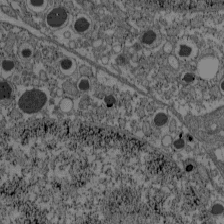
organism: C57BL Mouse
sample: Pancreatic islet